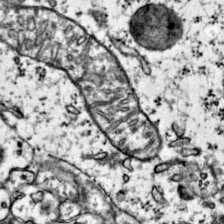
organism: Mouse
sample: Primary visual cortex